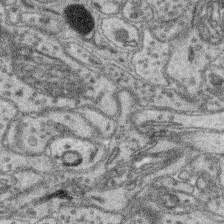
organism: Mouse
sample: Retina